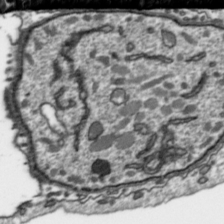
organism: Toxoplasma gondii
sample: Parasites in a vacuole inside a host cell